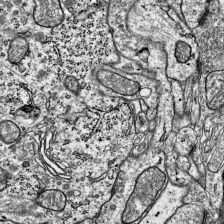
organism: Mouse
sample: Visual Cortex